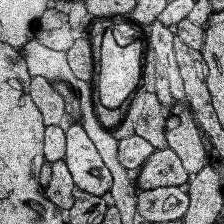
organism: Human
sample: Temporal Lobe